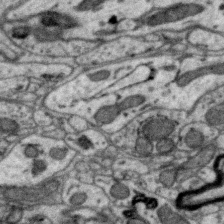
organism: Zebra finch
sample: Brain